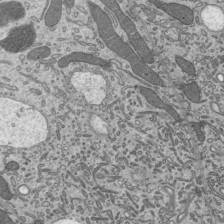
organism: Mouse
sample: Mouse epididymis efferent ductule cilia